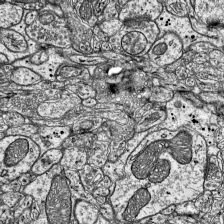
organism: Mouse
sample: Visual Cortex